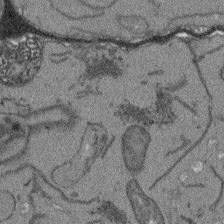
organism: Arabidopsis thaliana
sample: Root tip